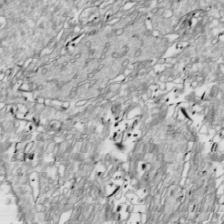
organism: Drosophila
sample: Cell division; meiosis; drosophila spermatocytes